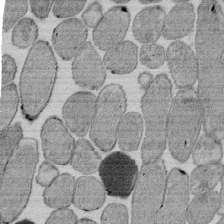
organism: E. coli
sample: Bacterial nucleoid